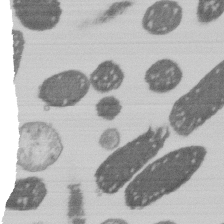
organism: E. coli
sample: Bacterial nucleoid